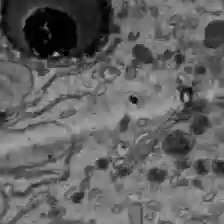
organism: C57BL Mouse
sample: Liver